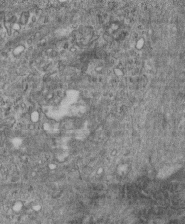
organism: Mouse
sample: Centriole in ependymal cells